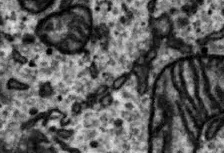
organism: Human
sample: HeLa cells